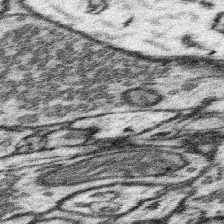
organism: Mouse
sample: Somatosensory cortex neuropil